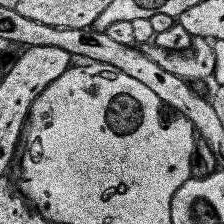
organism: Human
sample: Temporal Lobe